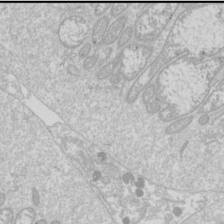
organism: Drosophila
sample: Cell division; meiosis; drosophila spermatocytes